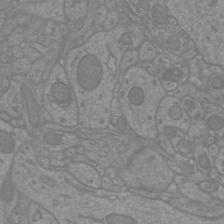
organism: Mouse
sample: Cortical neurons